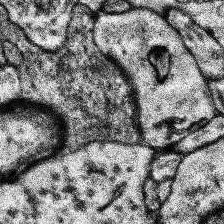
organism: Human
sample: Temporal Lobe